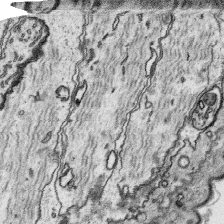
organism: Platynereis dumerilii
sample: Parapodia